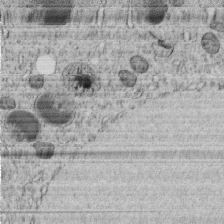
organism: C. elegans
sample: C. elegans embryo early stage